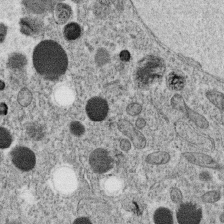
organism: C. elegans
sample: C. elegans oocyte; sperm cells